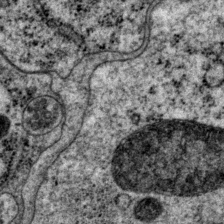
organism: P. pacificus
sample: Pharynx